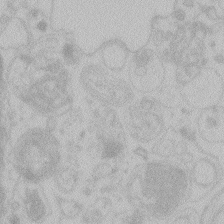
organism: Zebrafish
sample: Macrophage infected with Toxoplasma gondii